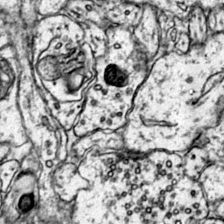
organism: Mouse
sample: Primary visual cortex